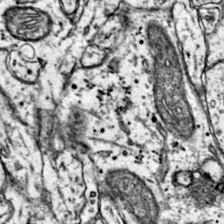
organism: Mouse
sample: Primary visual cortex